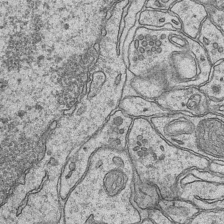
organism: Mouse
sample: CA1 Hippocampus